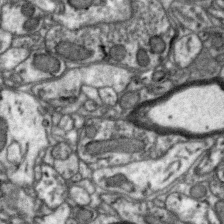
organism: Zebra finch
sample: Brain